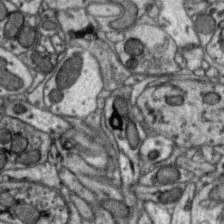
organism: Zebra finch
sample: Brain